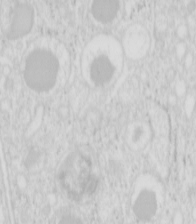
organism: Mouse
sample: Pancreas